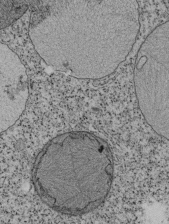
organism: Tetrahymena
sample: Cilia in tetrahymena